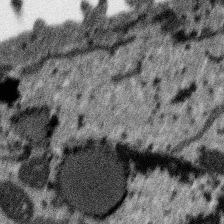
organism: Human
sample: Lung epithelial cells infected with SARS-CoV-2